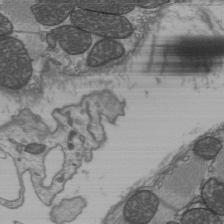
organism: C57BL Mouse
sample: Heart